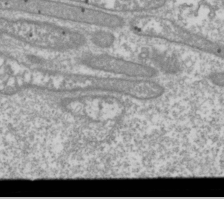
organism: Drosophila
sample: Cell division; meiosis; drosophila spermatocytes